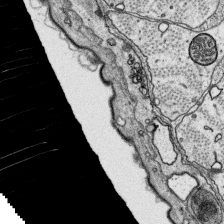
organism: Platynereis dumerilii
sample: Parapodia